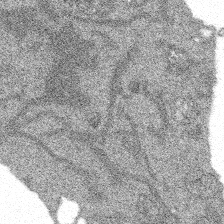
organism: Spongilla lacustris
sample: Multiple